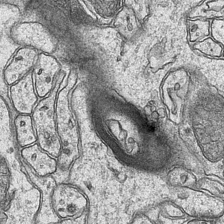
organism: Mouse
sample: CA1 Hippocampus